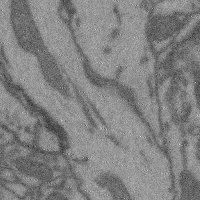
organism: Mouse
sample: Cerebral cortex